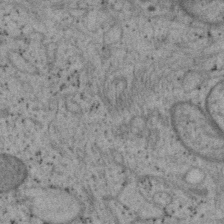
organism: Human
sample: HeLa cells